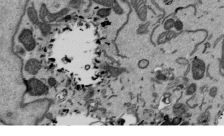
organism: Mouse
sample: ED-1 cell nuclei; centrioles